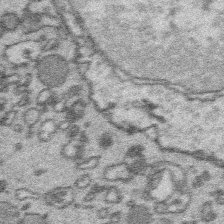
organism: Platynereis dumerilii